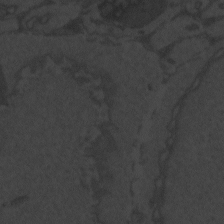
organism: Zebrafish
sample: Macrophage infected with Toxoplasma gondii